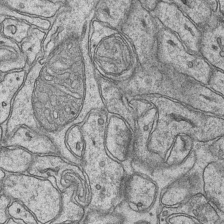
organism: Mouse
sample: CA1 Hippocampus